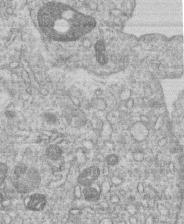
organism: Human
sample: Macrophage cells